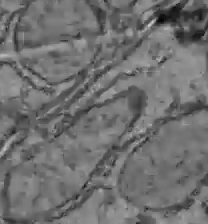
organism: C57BL Mouse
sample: Liver